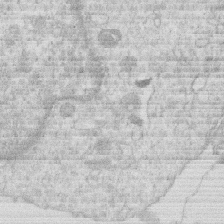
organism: Human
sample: Macrophage cells